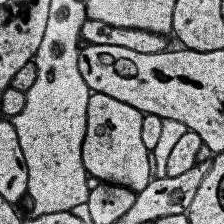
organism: Human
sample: Temporal Lobe